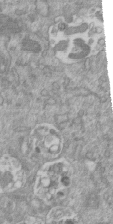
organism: Mouse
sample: ED-1 cell nuclei; centrioles